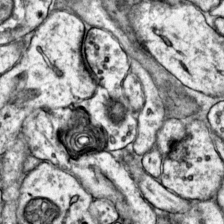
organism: Mouse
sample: Primary visual cortex